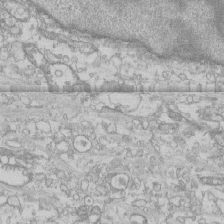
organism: Human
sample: CRL-1474